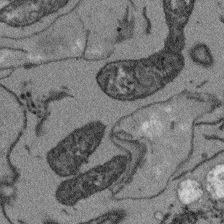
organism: Arabidopsis thaliana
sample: Root tip